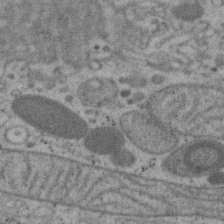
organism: Human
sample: HeLa cells